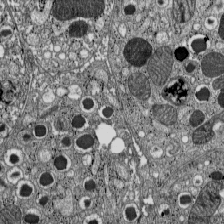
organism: C57BL Mouse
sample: Pancreatic islet